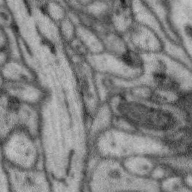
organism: Zebra finch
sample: Brain